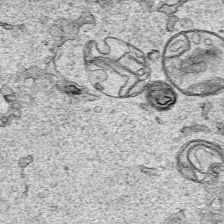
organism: Human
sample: Mitochondria in HCT116 cells